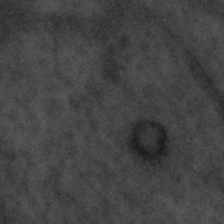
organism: Tuwongella immobilis